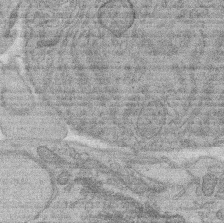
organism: Rat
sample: Salivary granule